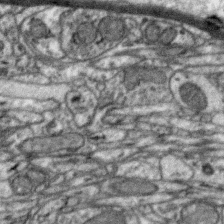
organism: Zebra finch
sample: Brain